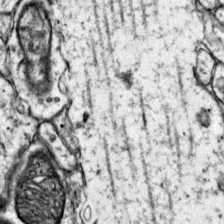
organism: Mouse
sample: Primary visual cortex